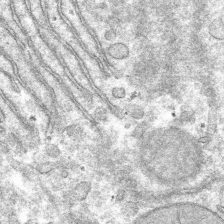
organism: Mouse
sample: Mouse hepatocytes